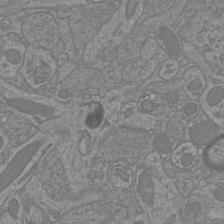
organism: Mouse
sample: Cortical neurons